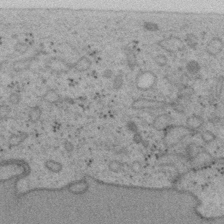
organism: Human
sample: HeLa cells